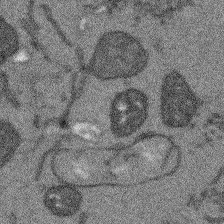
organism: Arabidopsis thaliana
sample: Root tip